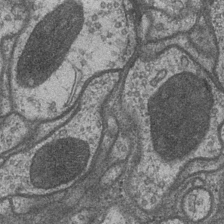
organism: Drosophila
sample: Optic medulla